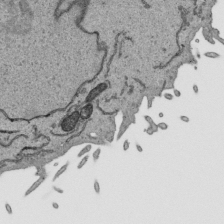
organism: Human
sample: Mitochondria in HCT116 cells